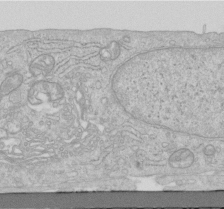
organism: Human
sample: Centriole in RPE cells